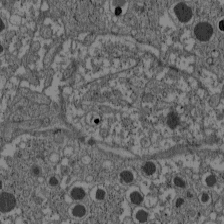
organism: C57BL Mouse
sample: Pancreatic islet